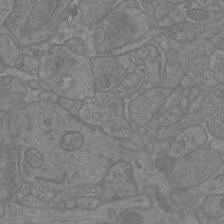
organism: Mouse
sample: Cortical neurons